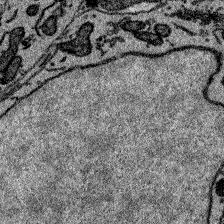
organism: Zebrafish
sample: Larval olfactory bulb